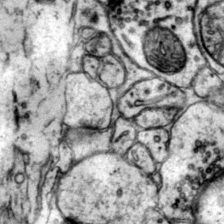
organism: Mouse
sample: Primary visual cortex